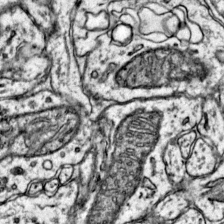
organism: Mouse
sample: Primary visual cortex